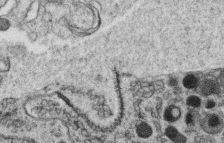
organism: C. elegans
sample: C. elegans oocyte; sperm cells